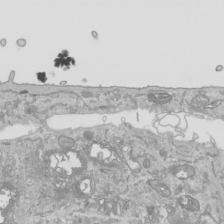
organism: Human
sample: Mitochondria in HCT116 cells